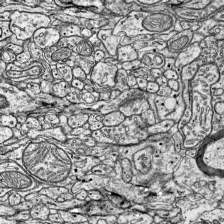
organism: Mouse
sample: Visual Cortex